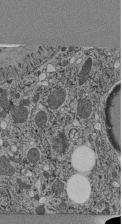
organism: C. elegans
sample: C. elegans pharynx